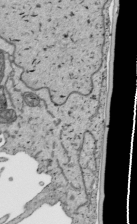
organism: Human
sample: Mitochondria in HCT116 cells